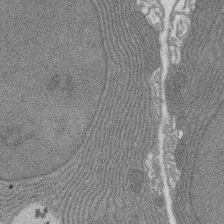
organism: Rat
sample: Salivary granule